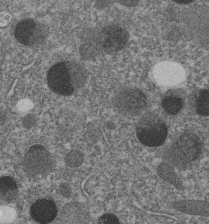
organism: C. elegans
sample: C. elegans embryo early stage